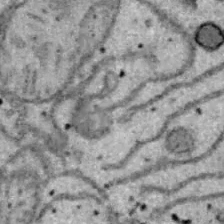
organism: Mouse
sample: Liver from an obese (ob/ob) mouse